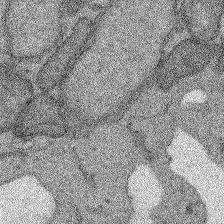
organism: Human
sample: HeLa cells